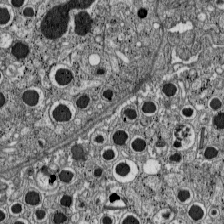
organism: C57BL Mouse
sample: Pancreatic islet